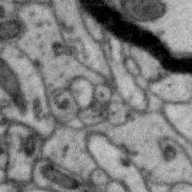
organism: Zebra finch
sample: Brain